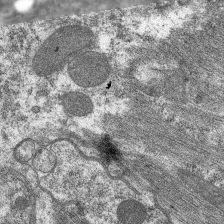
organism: C. elegans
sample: Pharynx